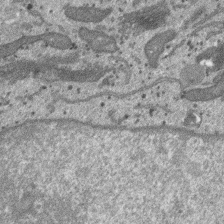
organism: Human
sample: Lung epithelial cells infected with SARS-CoV-2